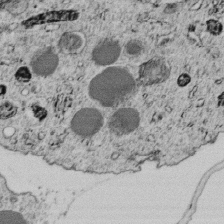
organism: C. elegans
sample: C. elegans embryo early stage